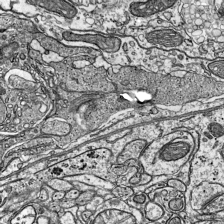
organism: Mouse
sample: Visual Cortex